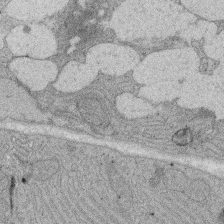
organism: Rat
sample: Salivary granule